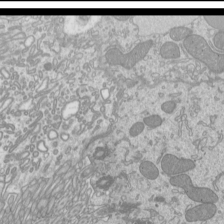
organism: Mouse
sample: Cilia; mouse epididymis